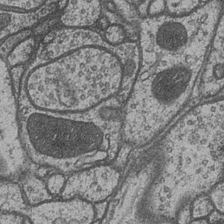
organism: Drosophila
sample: Optic medulla